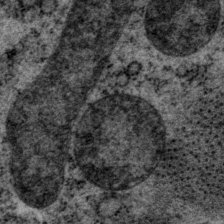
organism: P. pacificus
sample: Pharynx